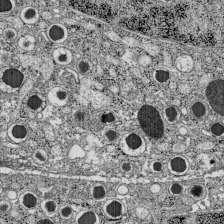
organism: C57BL Mouse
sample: Pancreatic islet